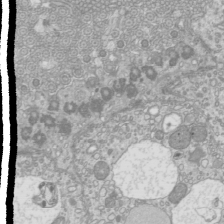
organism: Mouse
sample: Cilia; mouse epididymis